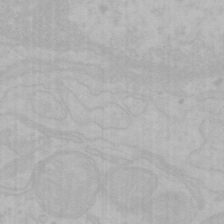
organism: Mouse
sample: Choroid plexus